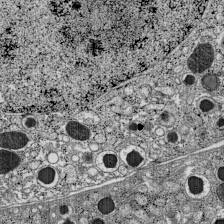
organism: C57BL Mouse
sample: Pancreatic islet